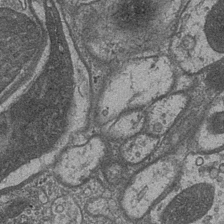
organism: Drosophila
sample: Optic medulla